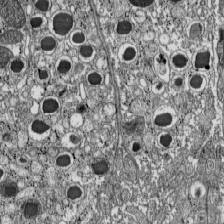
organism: C57BL Mouse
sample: Pancreatic islet